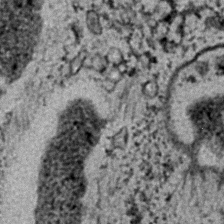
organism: C. elegans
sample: C. elegans embryo